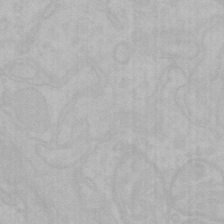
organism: Mouse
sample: Choroid plexus